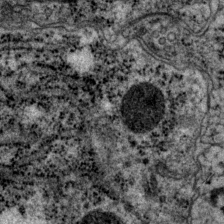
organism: P. pacificus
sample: Pharynx